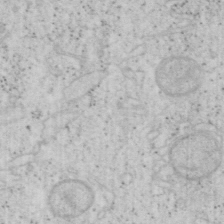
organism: Human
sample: HeLa cells